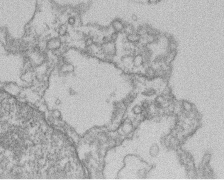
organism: Mouse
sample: T cell stromal cell synapse